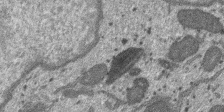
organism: Human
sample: Lung epithelial cells infected with SARS-CoV-2